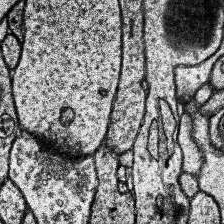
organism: Human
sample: Temporal Lobe